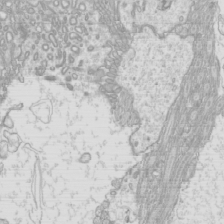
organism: Mouse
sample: Cilia; mouse epididymis